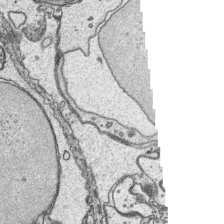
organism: Platynereis dumerilii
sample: Parapodia